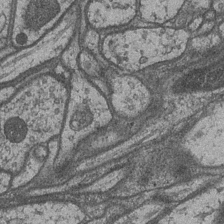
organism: Drosophila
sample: Optic medulla